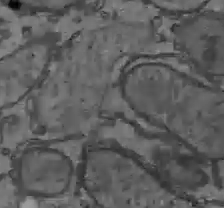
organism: C57BL Mouse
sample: Liver